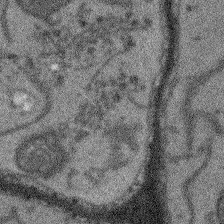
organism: Arabidopsis thaliana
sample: Root tip